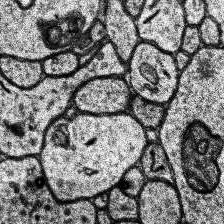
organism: Human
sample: Temporal Lobe